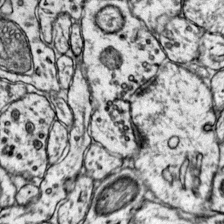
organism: Mouse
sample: Primary visual cortex